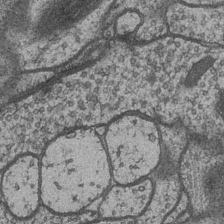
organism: Drosophila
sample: Optic medulla